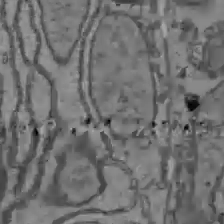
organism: C57BL Mouse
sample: Liver